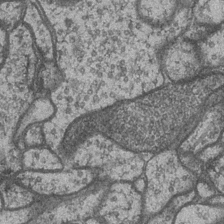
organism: Drosophila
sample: Optic medulla